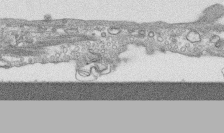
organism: Human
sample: CRL-1474